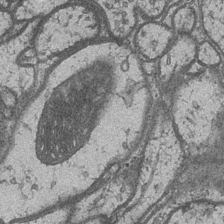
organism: Drosophila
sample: Optic medulla